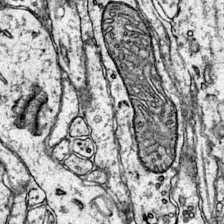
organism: Mouse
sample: Primary visual cortex